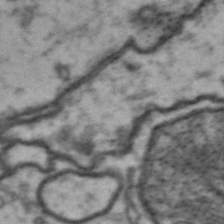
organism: Drosophila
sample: Brain